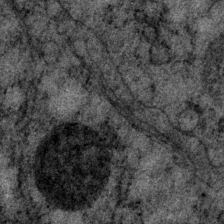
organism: P. pacificus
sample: Pharynx